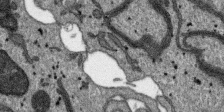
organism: Human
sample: Lung epithelial cells, uninfected (mock) control